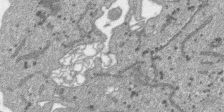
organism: Human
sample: Lung epithelial cells infected with SARS-CoV-2